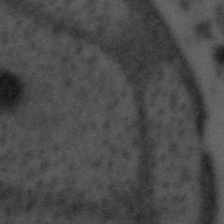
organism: Tuwongella immobilis